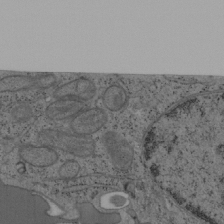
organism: Human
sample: HeLa cells